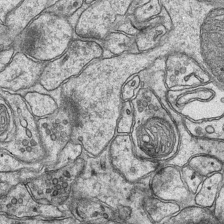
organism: Mouse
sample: CA1 Hippocampus